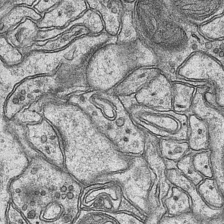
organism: Mouse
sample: CA1 Hippocampus